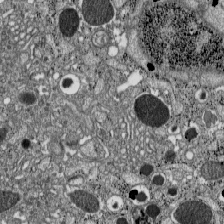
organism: C57BL Mouse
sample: Pancreatic islet